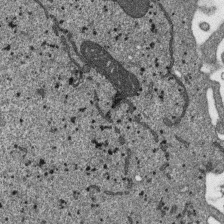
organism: Human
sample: Lung epithelial cells infected with SARS-CoV-2